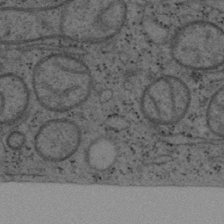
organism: Human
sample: HeLa cells